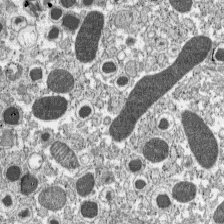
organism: C57BL Mouse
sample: Pancreatic islet